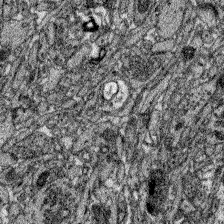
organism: Zebrafish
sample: Larval olfactory bulb